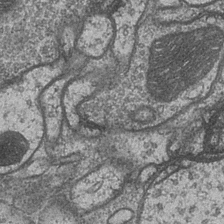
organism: Drosophila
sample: Optic medulla